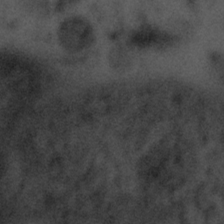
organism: Tuwongella immobilis